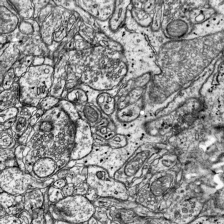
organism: Mouse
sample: Visual Cortex